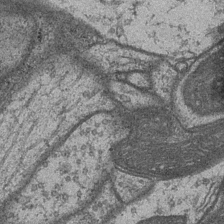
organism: Drosophila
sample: Optic medulla